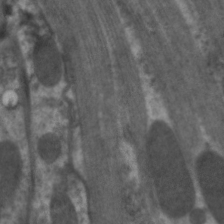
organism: C. elegans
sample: Pharynx